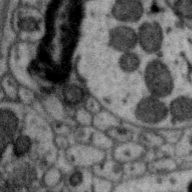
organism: Zebra finch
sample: Brain